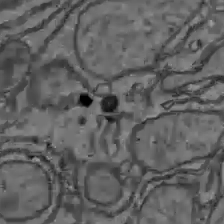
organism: C57BL Mouse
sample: Liver